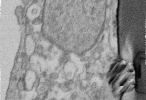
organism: Human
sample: Centriole in fibroblast cells